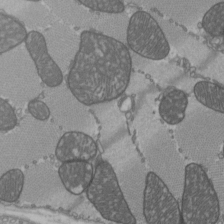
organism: C57BL Mouse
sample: Heart